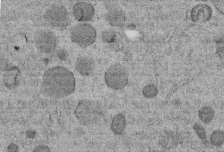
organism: C. elegans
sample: C. elegans embryo early stage